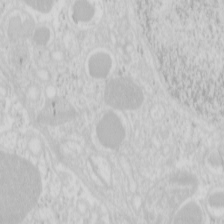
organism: Mouse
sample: Pancreas